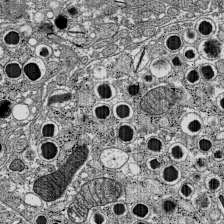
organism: C57BL Mouse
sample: Pancreatic islet